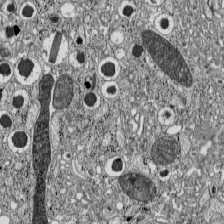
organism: C57BL Mouse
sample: Pancreatic islet